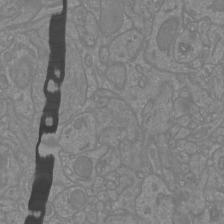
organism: Mouse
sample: Cortical neurons